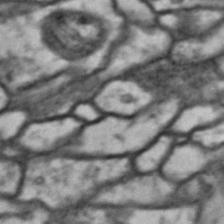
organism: Drosophila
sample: Brain